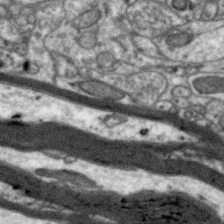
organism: Zebra finch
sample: Brain